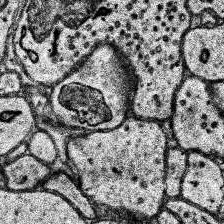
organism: Human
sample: Temporal Lobe